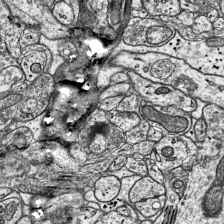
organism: Mouse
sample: Visual Cortex